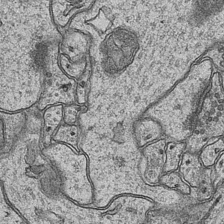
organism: Mouse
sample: CA1 Hippocampus